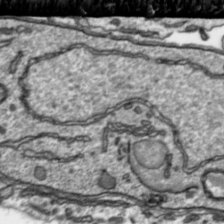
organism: Toxoplasma gondii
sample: Parasites in a vacuole inside a host cell